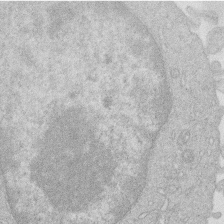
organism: Human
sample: Macrophage cells